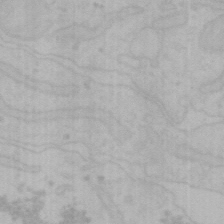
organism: Mouse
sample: Choroid plexus